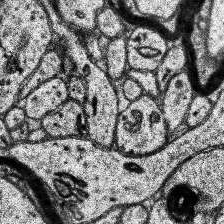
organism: Human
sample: Temporal Lobe